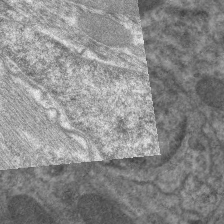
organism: C. elegans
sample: Pharynx